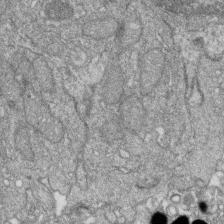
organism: Zebrafish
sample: Cilia; retinal pigment epithelium